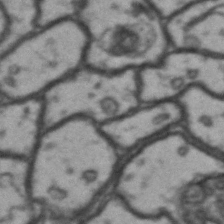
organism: Drosophila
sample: Brain